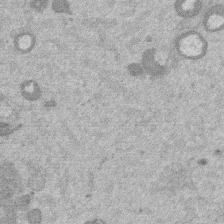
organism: Mouse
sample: Dividing mouse embryo 1 cell stage